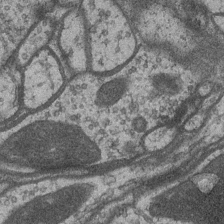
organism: Drosophila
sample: Optic medulla